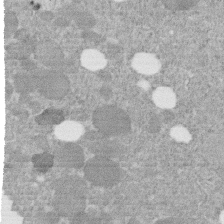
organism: C. elegans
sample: C. elegans embryo early stage